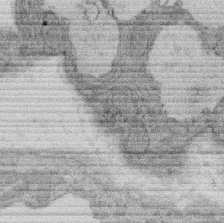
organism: Rat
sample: Salivary granule